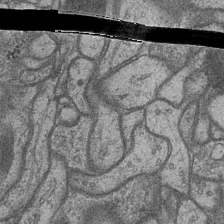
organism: Drosophila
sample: Optic medulla